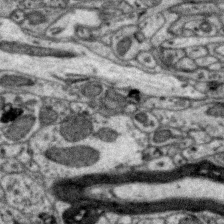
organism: Zebra finch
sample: Brain